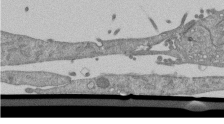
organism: Mouse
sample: ED-1 cell nuclei; centrioles